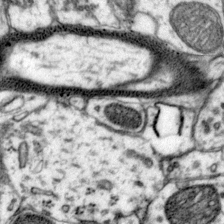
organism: Mouse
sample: Primary visual cortex